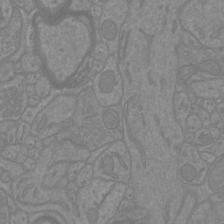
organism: Mouse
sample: Cortical neurons